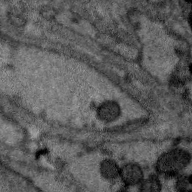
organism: Zebra finch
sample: Brain